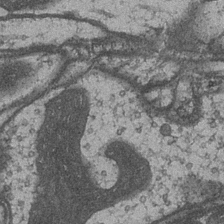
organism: Drosophila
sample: Optic medulla